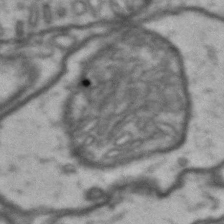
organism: Drosophila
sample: Brain